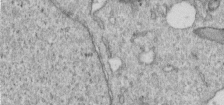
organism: Human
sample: Centriole in RPE cells